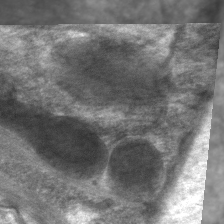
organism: C. elegans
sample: Pharynx